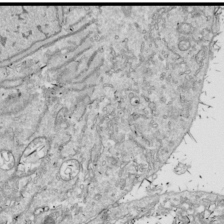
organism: Drosophila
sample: Cell division; meiosis; drosophila spermatocytes